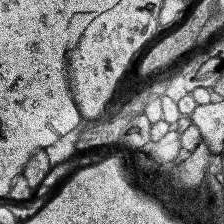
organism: Human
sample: Temporal Lobe